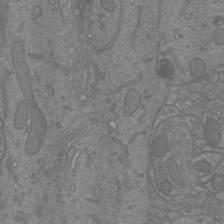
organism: Mouse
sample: Cortical neurons